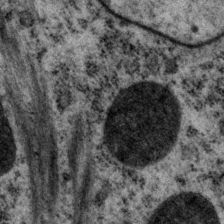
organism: P. pacificus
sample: Pharynx